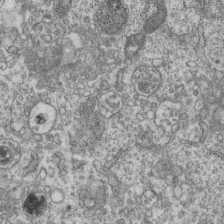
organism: Mouse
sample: Centriole in ependymal cells